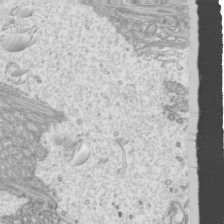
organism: Mouse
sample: Cilia; mouse epididymis